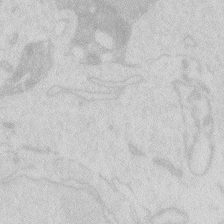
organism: Zebrafish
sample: Macrophage